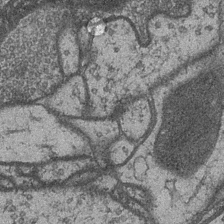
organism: Drosophila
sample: Optic medulla